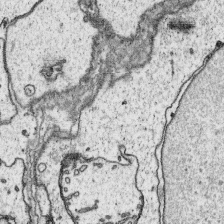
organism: Platynereis dumerilii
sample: Parapodia